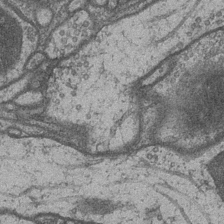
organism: Drosophila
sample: Optic medulla